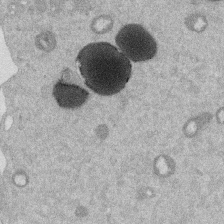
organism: Mouse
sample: Dividing mouse embryo 1 cell stage